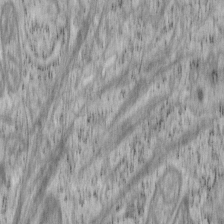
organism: Human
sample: HeLa cells